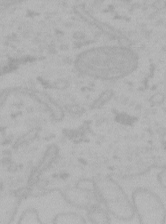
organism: Mouse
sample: Choroid plexus